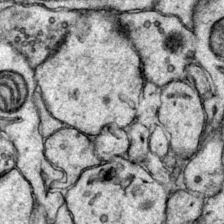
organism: Mouse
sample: Primary visual cortex